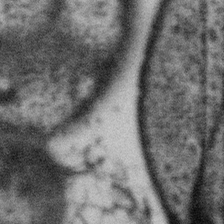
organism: Gemmata obscuriglobus